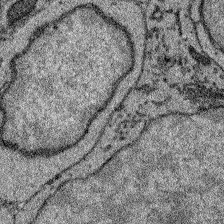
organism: Zebrafish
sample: Larval olfactory bulb